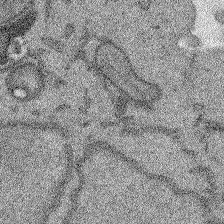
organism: Human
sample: HeLa cells